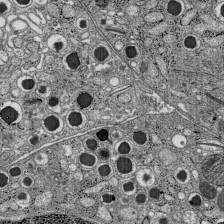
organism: C57BL Mouse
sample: Pancreatic islet